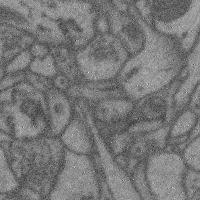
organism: Mouse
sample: Cerebral cortex